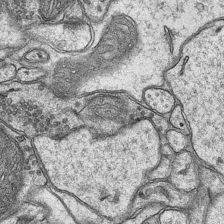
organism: Mouse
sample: CA1 Hippocampus